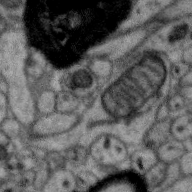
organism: Zebra finch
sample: Brain